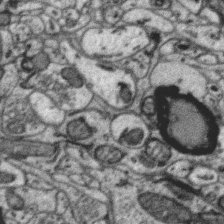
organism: Zebra finch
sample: Brain